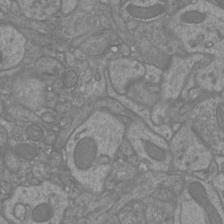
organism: Mouse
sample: Cortical neurons